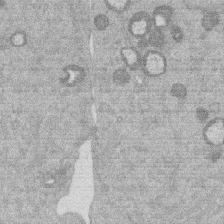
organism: Mouse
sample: Dividing mouse embryo 1 cell stage